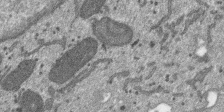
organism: Human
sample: Lung epithelial cells infected with SARS-CoV-2